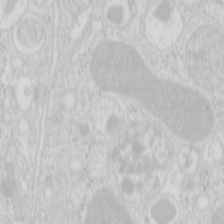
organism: Mouse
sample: Pancreas